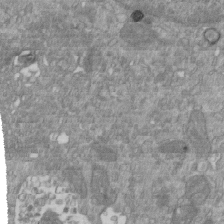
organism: Mouse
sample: ED-1 cell nuclei; centrioles